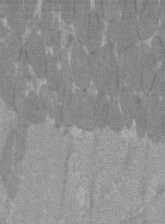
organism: C57BL Mouse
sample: Tibialis anterior muscle cell